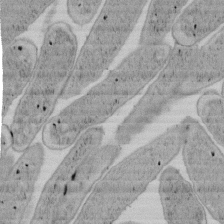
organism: E. coli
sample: Bacterial nucleoid